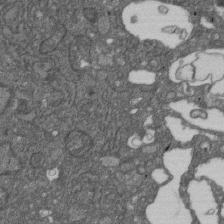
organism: Drosophila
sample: Nephrocyte